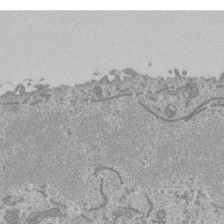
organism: Mouse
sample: ED-1 cell nuclei; centrioles